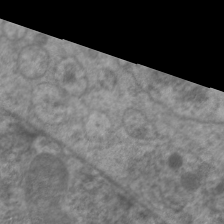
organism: C. elegans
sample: Pharynx